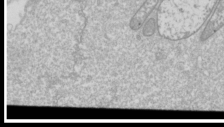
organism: Drosophila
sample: Cell division; meiosis; drosophila spermatocytes